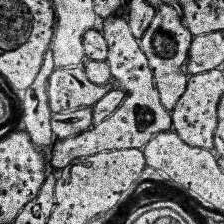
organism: Human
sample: Temporal Lobe